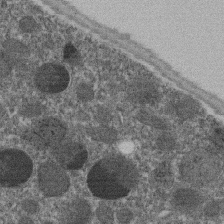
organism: C. elegans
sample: C. elegans embryo early stage